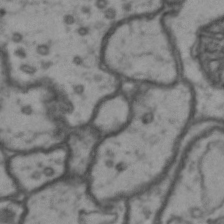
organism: Drosophila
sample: Brain